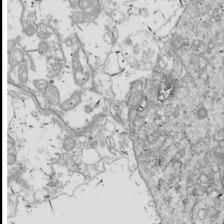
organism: Drosophila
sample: Cell division; meiosis; drosophila spermatocytes